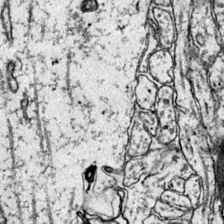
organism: Mouse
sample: Primary visual cortex